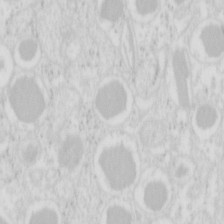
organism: Mouse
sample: Pancreas